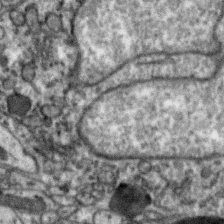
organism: Zebra finch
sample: Brain